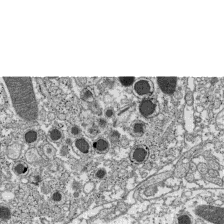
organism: C57BL Mouse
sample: Pancreatic islet